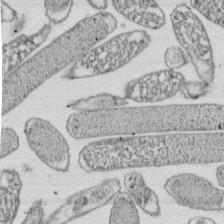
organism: E. coli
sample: Bacterial nucleoid